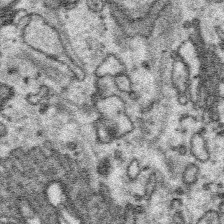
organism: Platynereis dumerilii